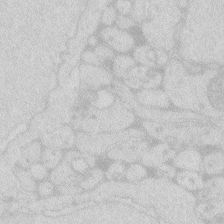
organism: Zebrafish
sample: Macrophage